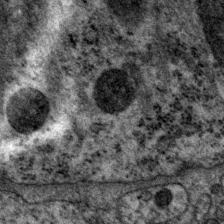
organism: P. pacificus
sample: Pharynx